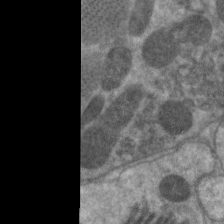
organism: C. elegans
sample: Pharynx